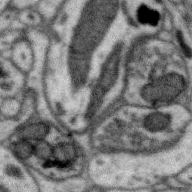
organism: Zebra finch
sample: Brain